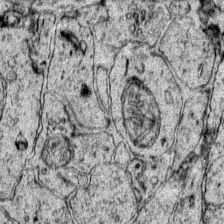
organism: Mouse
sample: Primary visual cortex